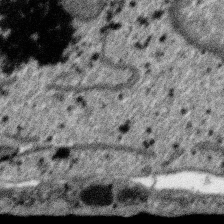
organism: Human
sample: Lung epithelial cells infected with SARS-CoV-2